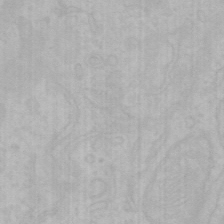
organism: Mouse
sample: Choroid plexus